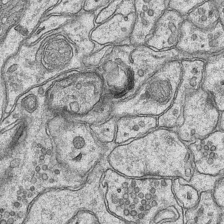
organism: Mouse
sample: CA1 Hippocampus